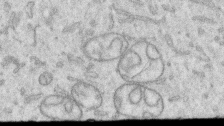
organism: Human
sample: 1205lu cells